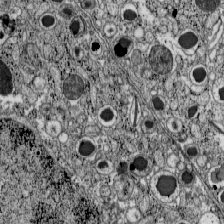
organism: C57BL Mouse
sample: Pancreatic islet